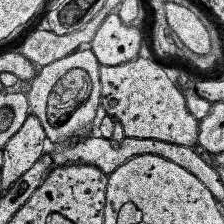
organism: Human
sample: Temporal Lobe